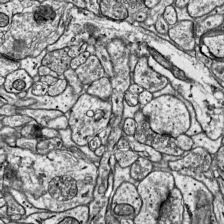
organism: Mouse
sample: Visual Cortex